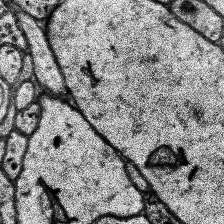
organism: Human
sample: Temporal Lobe